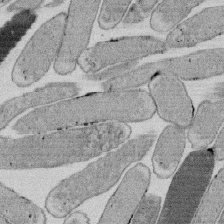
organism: E. coli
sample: Bacterial nucleoid